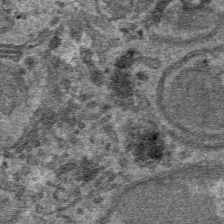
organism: Mouse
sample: Mouse hepatocytes